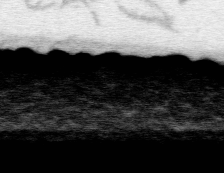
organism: Human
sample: HeLa cells